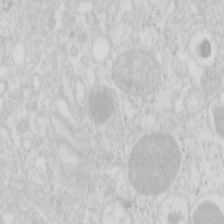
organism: Mouse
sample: Pancreas